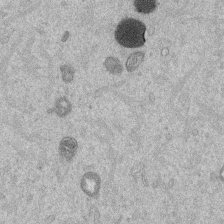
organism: Mouse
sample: Dividing mouse embryo 1 cell stage